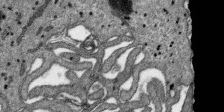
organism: Human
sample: Lung epithelial cells, uninfected (mock) control